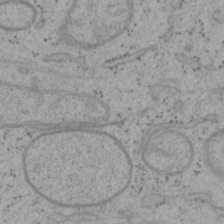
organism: Human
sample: HeLa cells